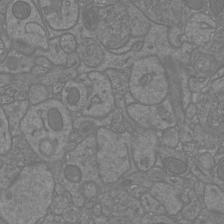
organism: Mouse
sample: Cortical neurons